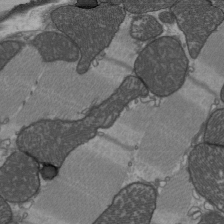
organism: C57BL Mouse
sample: Heart